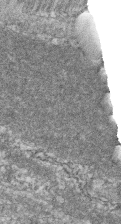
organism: Zebrafish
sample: Cilia; retinal pigment epithelium